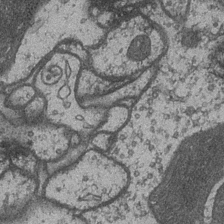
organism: Drosophila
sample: Optic medulla